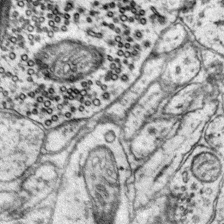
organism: Mouse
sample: Primary visual cortex